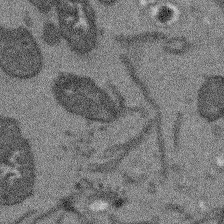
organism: Arabidopsis thaliana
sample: Root tip